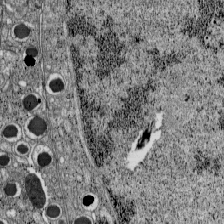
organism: C57BL Mouse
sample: Pancreatic islet